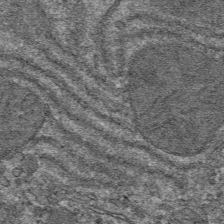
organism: Mouse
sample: Mouse hepatocytes